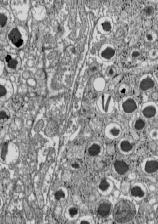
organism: C57BL Mouse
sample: Pancreatic islet